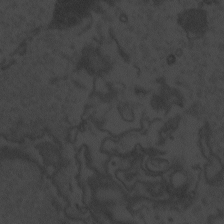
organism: Zebrafish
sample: Macrophage infected with Toxoplasma gondii